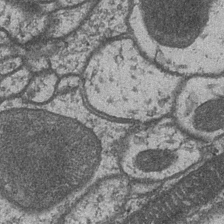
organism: Drosophila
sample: Optic medulla